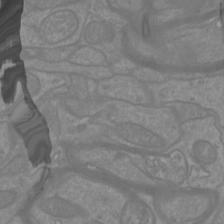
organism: Mouse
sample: Cortical neurons